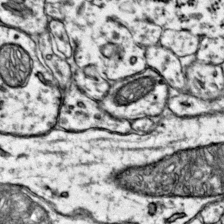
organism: Mouse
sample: Primary visual cortex